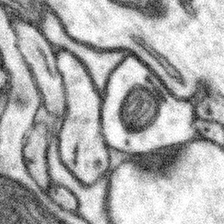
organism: Mouse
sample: Somatosensory cortex neuropil